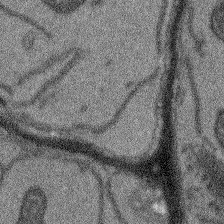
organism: Arabidopsis thaliana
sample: Root tip